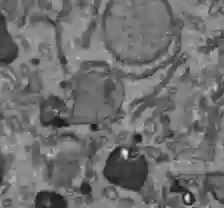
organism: C57BL Mouse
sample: Liver